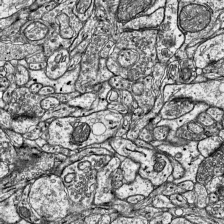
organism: Mouse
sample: Visual Cortex